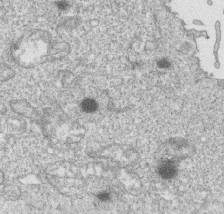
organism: Human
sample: HeLa cell HIV synapse